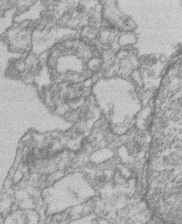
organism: Mouse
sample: T cell stromal cell synapse